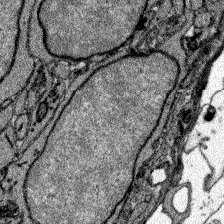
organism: Zebrafish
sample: Larval olfactory bulb